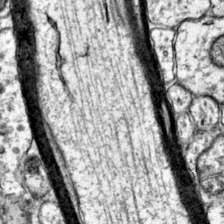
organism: Mouse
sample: Primary visual cortex